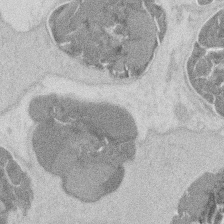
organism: Mouse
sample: T cell stromal cell synapse